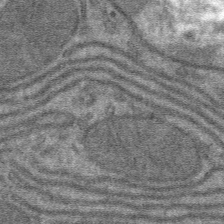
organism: Mouse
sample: Mouse hepatocytes